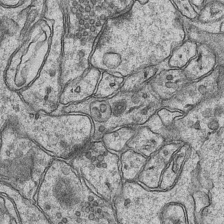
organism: Mouse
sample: CA1 Hippocampus